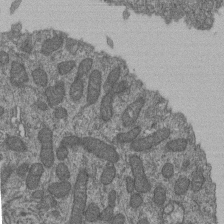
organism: Human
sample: Retinal organoid Rod and Cone cells